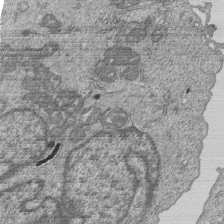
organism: Human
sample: MDA-MB-231 cells